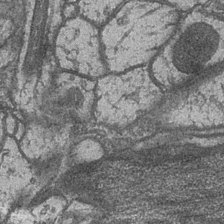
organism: Drosophila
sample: Optic medulla